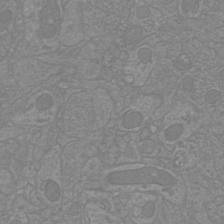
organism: Mouse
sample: Cortical neurons